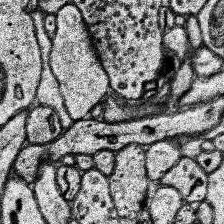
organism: Human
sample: Temporal Lobe